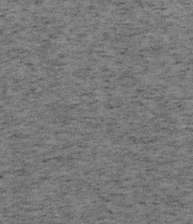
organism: Mouse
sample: OT-I killer T cells with ID8 ovarian cancer cells